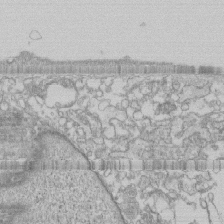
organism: Human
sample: CRL-1474